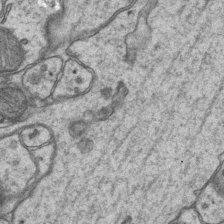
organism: Mouse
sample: CA1 Hippocampus